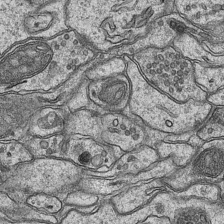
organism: Mouse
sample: CA1 Hippocampus